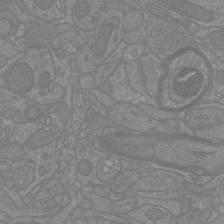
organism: Mouse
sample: Cortical neurons